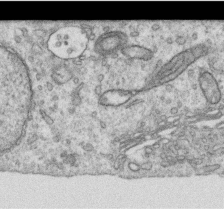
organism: Human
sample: Centriole in RPE cells